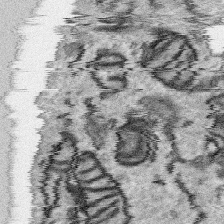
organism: Human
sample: HeLa cells